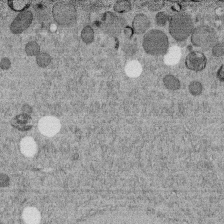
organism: C. elegans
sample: C. elegans embryo early stage